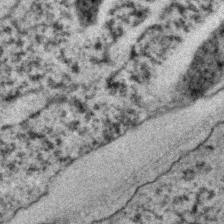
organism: C. elegans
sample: C. elegans embryo